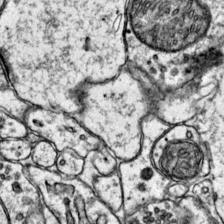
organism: Mouse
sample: Primary visual cortex